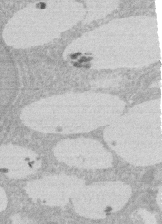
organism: Rat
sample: Salivary granule